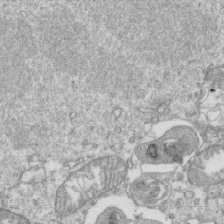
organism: Mouse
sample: Activated OT-1 CD8+ T cells